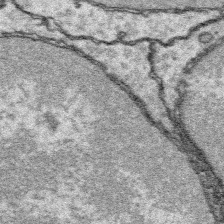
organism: Platynereis dumerilii